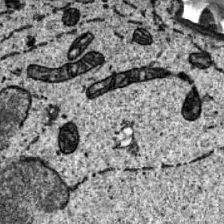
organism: Human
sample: HeLa cells